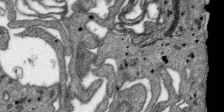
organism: Human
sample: Lung epithelial cells, uninfected (mock) control